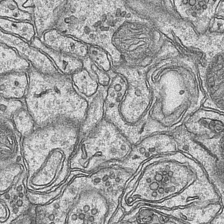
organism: Mouse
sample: CA1 Hippocampus